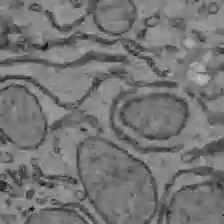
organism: C57BL Mouse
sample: Liver